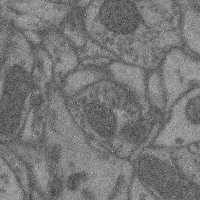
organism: Mouse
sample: Cerebral cortex